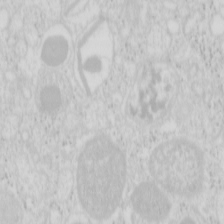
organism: Mouse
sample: Pancreas